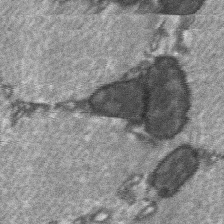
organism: C57BL Mouse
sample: Soleus